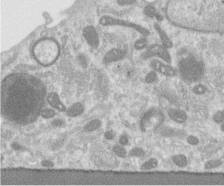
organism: Human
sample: Centriole in RPE cells